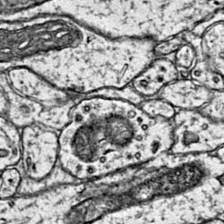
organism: Mouse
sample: Primary visual cortex